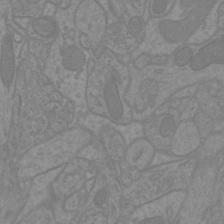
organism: Mouse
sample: Cortical neurons